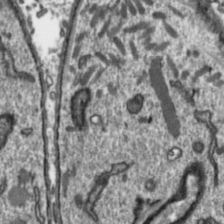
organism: Toxoplasma gondii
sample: Parasites in a vacuole inside a host cell